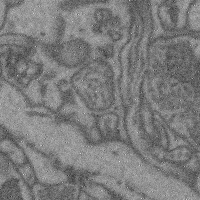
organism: Mouse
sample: Cerebral cortex